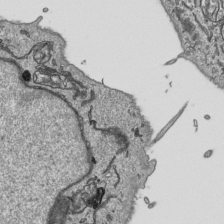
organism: Human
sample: Mitochondria in HCT116 cells